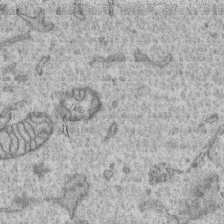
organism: Human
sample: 1205lu cells